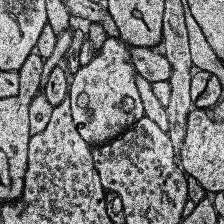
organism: Human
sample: Temporal Lobe